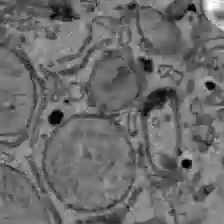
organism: C57BL Mouse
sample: Liver